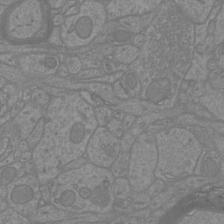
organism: Mouse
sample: Cortical neurons